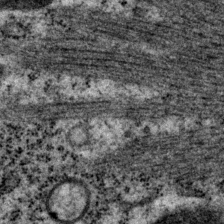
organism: P. pacificus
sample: Pharynx